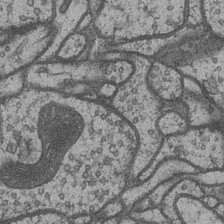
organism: Drosophila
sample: Optic medulla